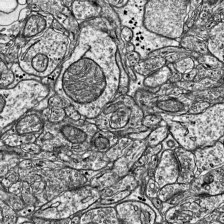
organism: Mouse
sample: Visual Cortex